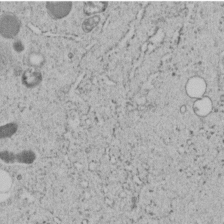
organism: C. elegans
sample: C. elegans embryo early stage